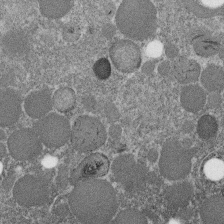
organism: C. elegans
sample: C. elegans embryo early stage